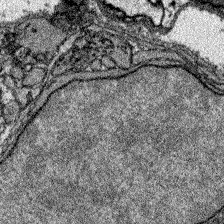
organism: Zebrafish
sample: Larval olfactory bulb